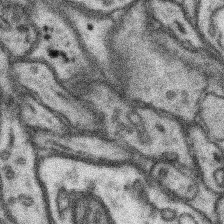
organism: Mouse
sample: Somatosensory cortex neuropil